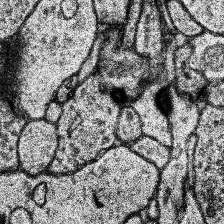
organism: Human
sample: Temporal Lobe